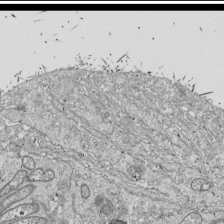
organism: Drosophila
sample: Cell division; meiosis; drosophila spermatocytes